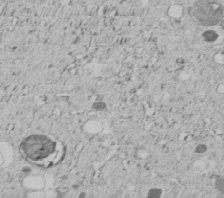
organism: C. elegans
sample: C. elegans embryo early stage